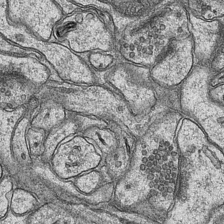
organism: Mouse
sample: CA1 Hippocampus